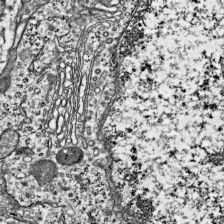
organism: Mouse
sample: Visual Cortex